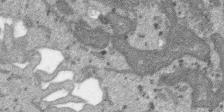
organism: Human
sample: Lung epithelial cells infected with SARS-CoV-2